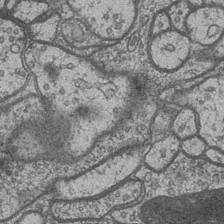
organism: Drosophila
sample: Optic medulla